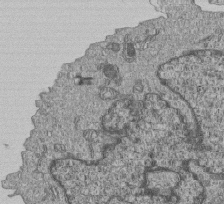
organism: Human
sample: MDA-MB-231 cells